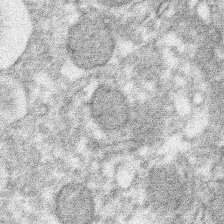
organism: Xenopus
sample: Cilia; centrioles in frog embryo cells